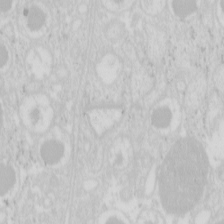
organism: Mouse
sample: Pancreas